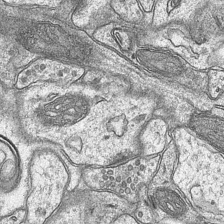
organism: Mouse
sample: CA1 Hippocampus